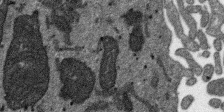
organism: Human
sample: Lung epithelial cells infected with SARS-CoV-2